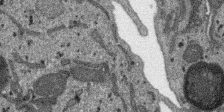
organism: Human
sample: Lung epithelial cells infected with SARS-CoV-2